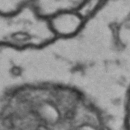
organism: Drosophila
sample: Brain